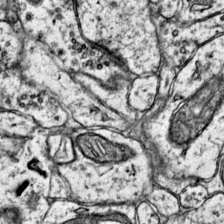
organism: Mouse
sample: Primary visual cortex